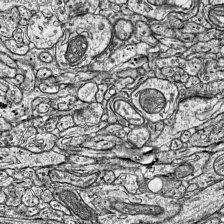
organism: Mouse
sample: Visual Cortex